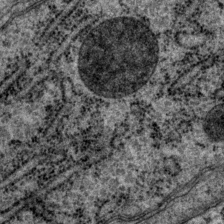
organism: P. pacificus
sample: Pharynx